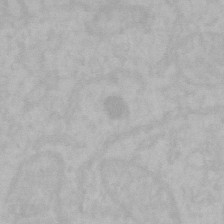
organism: Mouse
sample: Choroid plexus